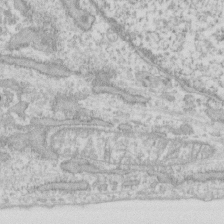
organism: Human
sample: Fibroblast cells